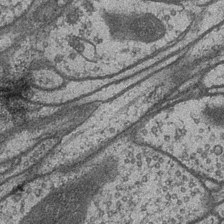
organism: Drosophila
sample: Optic medulla